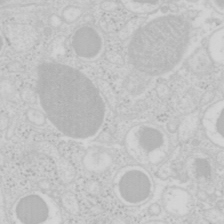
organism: Mouse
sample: Pancreas